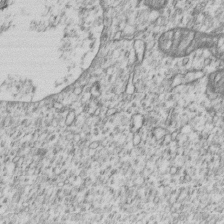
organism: Human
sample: MDA-MB-231 cells